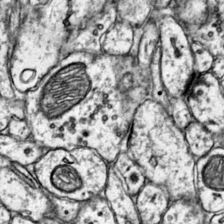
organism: Mouse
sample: Primary visual cortex